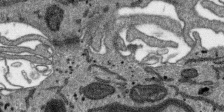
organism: Human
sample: Lung epithelial cells, uninfected (mock) control